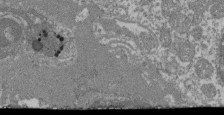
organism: Mouse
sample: Glomerulus